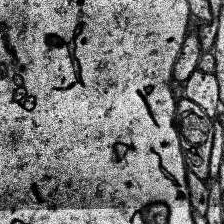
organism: Human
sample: Temporal Lobe